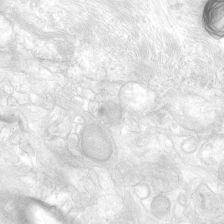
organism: Human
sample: Neocortex